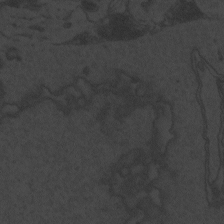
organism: Zebrafish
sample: Macrophage infected with Toxoplasma gondii